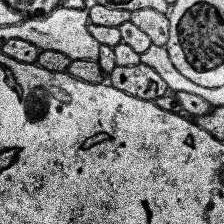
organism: Human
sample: Temporal Lobe